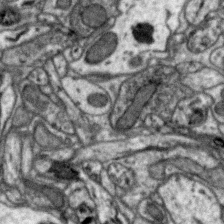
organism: Zebra finch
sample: Brain